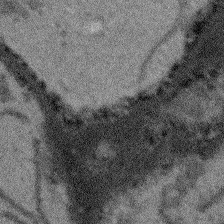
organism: Arabidopsis thaliana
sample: Root tip